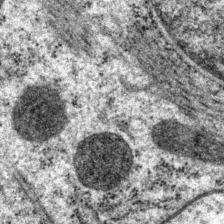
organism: P. pacificus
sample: Pharynx